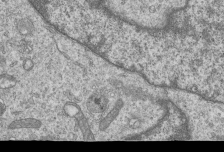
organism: Human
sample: MDA-MB-231 cells